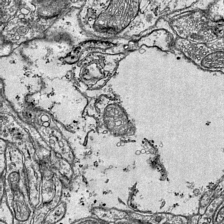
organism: Mouse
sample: Visual Cortex